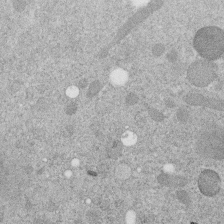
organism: C. elegans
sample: C. elegans embryo early stage